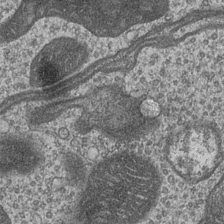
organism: Drosophila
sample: Optic medulla